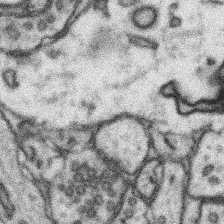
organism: Mouse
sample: Somatosensory cortex neuropil